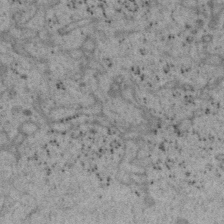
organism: Human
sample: HeLa cells